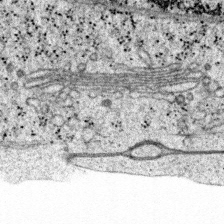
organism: Human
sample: HeLa cells